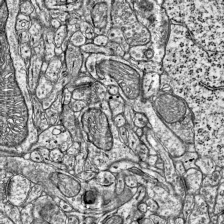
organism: Mouse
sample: Visual Cortex